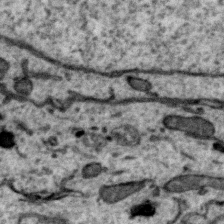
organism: Zebra finch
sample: Brain